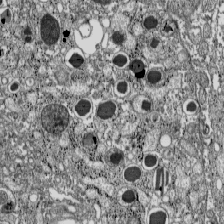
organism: C57BL Mouse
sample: Pancreatic islet